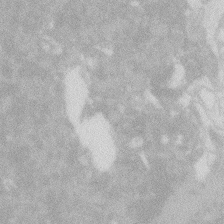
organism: Zebrafish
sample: Macrophage